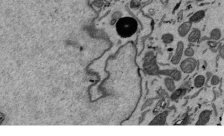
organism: Mouse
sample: ED-1 cell nuclei; centrioles